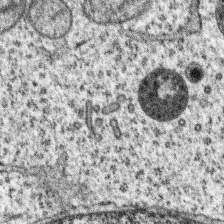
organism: Human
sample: HeLa cells